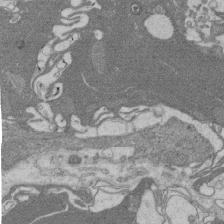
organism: Rat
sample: Salivary granule